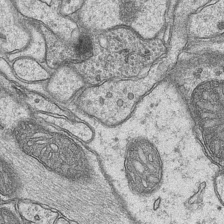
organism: Mouse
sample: CA1 Hippocampus